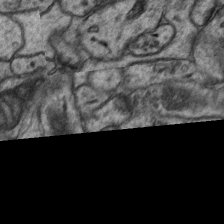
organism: Mouse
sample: CA1 Hippocampus